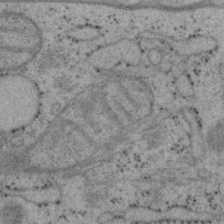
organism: Human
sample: HeLa cells